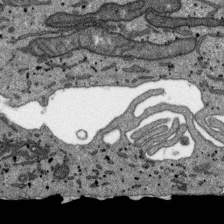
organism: Human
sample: Lung epithelial cells, uninfected (mock) control